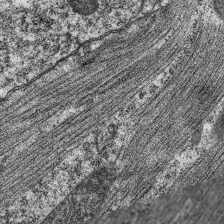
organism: C. elegans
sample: Pharynx